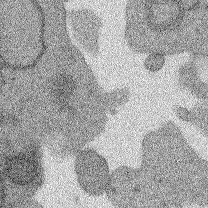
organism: Human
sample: HeLa cells